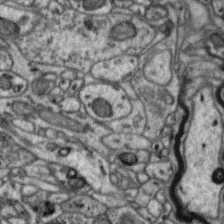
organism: Zebra finch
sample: Brain